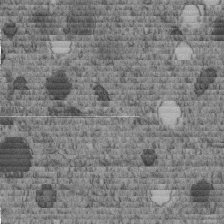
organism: C. elegans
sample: C. elegans embryo early stage